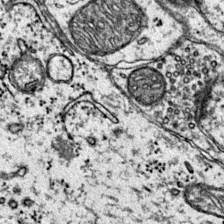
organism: Mouse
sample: Primary visual cortex